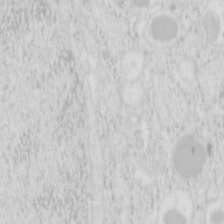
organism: Mouse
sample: Pancreas